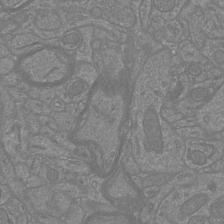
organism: Mouse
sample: Cortical neurons